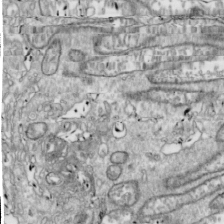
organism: Drosophila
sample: Cell division; meiosis; drosophila spermatocytes